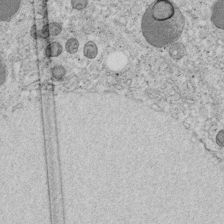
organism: C. elegans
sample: C. elegans embryo early stage